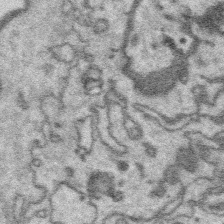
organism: Platynereis dumerilii